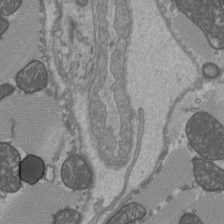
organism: C57BL Mouse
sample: Heart